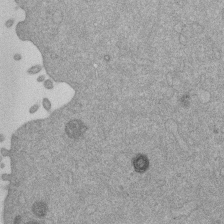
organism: Mouse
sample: Dividing mouse embryo 1 cell stage